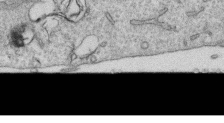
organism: Human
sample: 1205lu cells